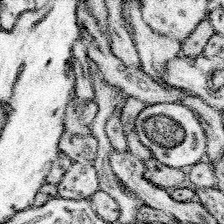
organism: Mouse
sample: Somatosensory cortex neuropil